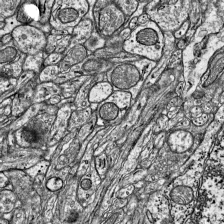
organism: Mouse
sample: Visual Cortex